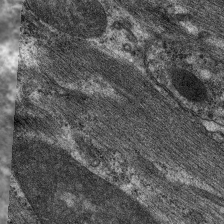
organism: C. elegans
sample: Pharynx